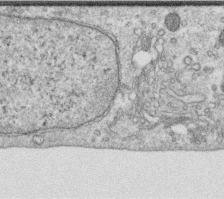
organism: Human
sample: Centriole in RPE cells